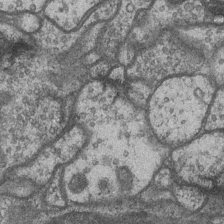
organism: Drosophila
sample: Optic medulla